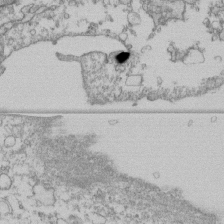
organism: Human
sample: Fibroblast cells